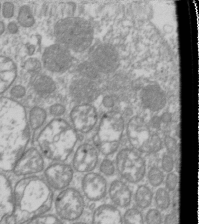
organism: Drosophila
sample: Cell division; meiosis; drosophila spermatocytes